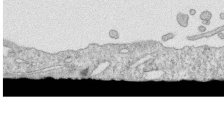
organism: Human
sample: HeLa cell HIV synapse